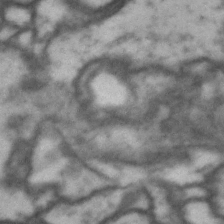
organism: Drosophila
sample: Brain